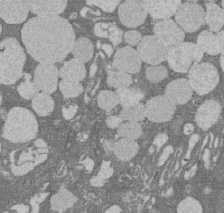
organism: Rat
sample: Salivary granule